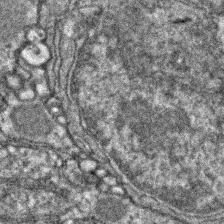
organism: Zebrafish